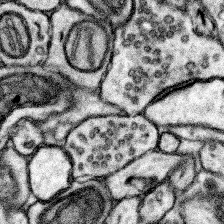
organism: Mouse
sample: Somatosensory cortex neuropil